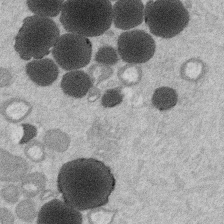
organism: Mouse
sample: Dividing mouse embryo 1 cell stage